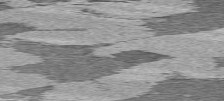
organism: C57BL Mouse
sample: Heart